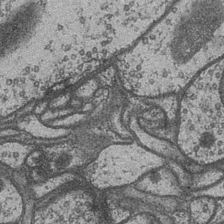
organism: Drosophila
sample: Optic medulla